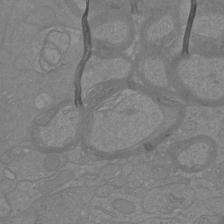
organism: Mouse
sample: Cortical neurons